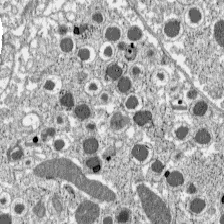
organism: C57BL Mouse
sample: Pancreatic islet